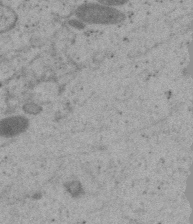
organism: Human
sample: HeLa cells